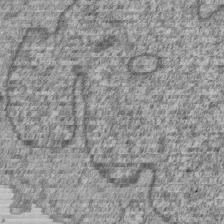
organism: Human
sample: MDA-MB-231 cells